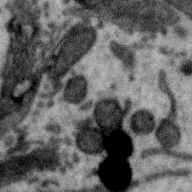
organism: Zebra finch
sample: Brain